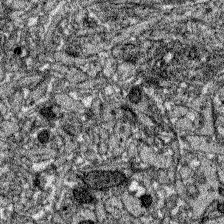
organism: Zebrafish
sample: Larval olfactory bulb